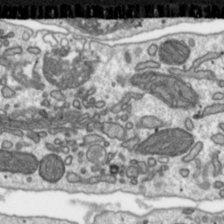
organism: Toxoplasma gondii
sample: Parasites in a vacuole inside a host cell